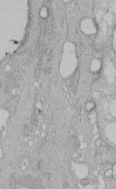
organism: Human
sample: Melanocyte Keratinocyte synapse skin construct